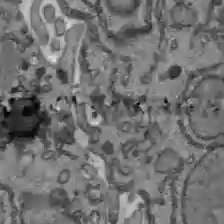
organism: C57BL Mouse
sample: Liver